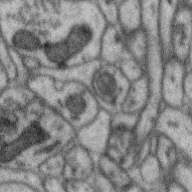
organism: Zebra finch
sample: Brain